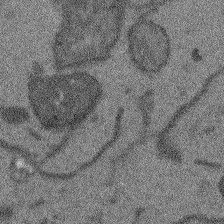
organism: Arabidopsis thaliana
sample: Root tip